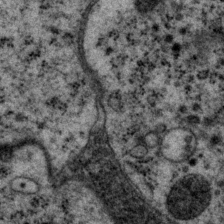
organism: P. pacificus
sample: Pharynx